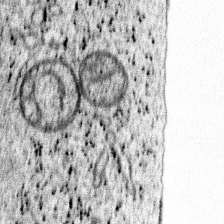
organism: Human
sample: HeLa cells